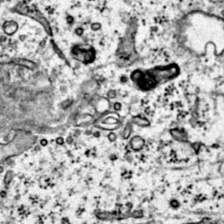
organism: Mouse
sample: Primary visual cortex